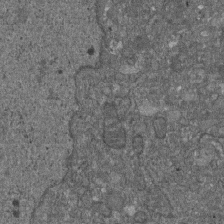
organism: Drosophila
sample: Nephrocyte